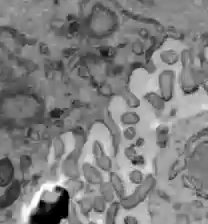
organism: C57BL Mouse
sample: Liver